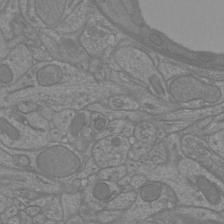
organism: Mouse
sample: Cortical neurons